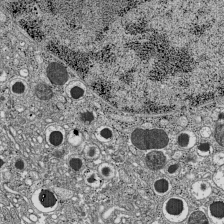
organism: C57BL Mouse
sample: Pancreatic islet